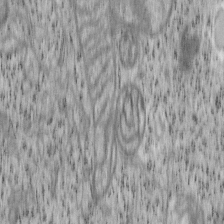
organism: Human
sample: HeLa cells